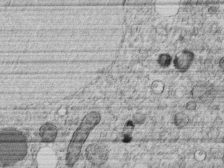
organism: C. elegans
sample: C. elegans embryo early stage